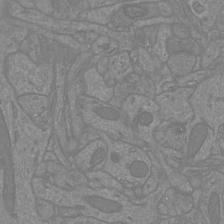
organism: Mouse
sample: Cortical neurons